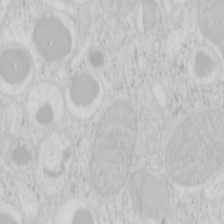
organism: Mouse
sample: Pancreas